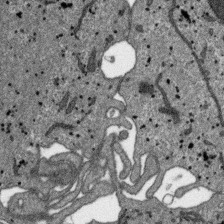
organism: Human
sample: Lung epithelial cells, uninfected (mock) control